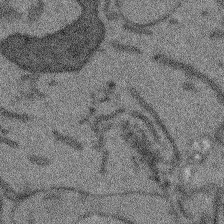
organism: Arabidopsis thaliana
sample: Root tip